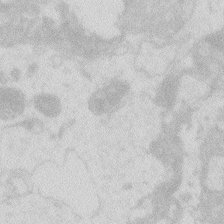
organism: Zebrafish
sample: Macrophage